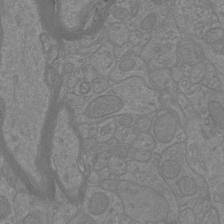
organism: Mouse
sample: Cortical neurons